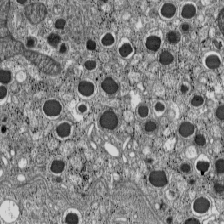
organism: C57BL Mouse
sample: Pancreatic islet